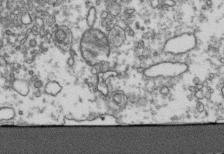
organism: Human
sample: Activated Jurkat CD4+ T cells